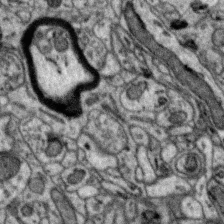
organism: Zebra finch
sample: Brain